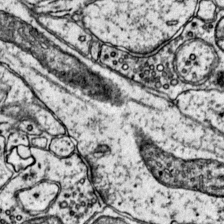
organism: Mouse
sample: Primary visual cortex